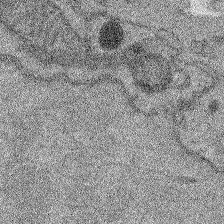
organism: Human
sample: HeLa cells